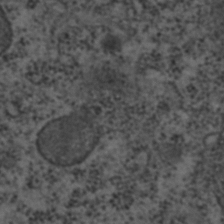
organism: C. elegans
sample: C. elegans embryo